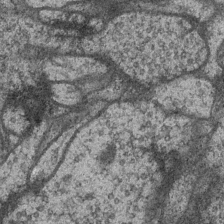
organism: Drosophila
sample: Optic medulla